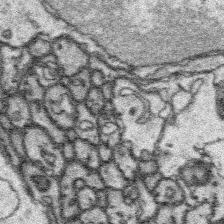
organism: Platynereis dumerilii